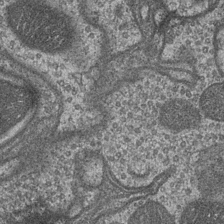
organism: Drosophila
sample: Optic medulla